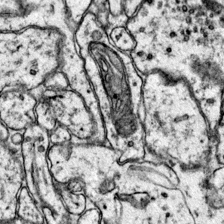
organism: Mouse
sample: Primary visual cortex